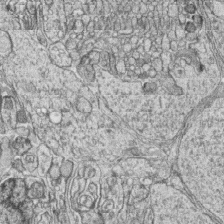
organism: Zebrafish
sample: synaptic ribbons in rod cells and cone cells